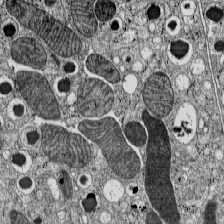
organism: C57BL Mouse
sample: Pancreatic islet